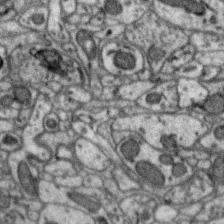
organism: Zebra finch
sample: Brain